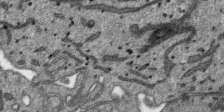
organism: Human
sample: Lung epithelial cells, uninfected (mock) control